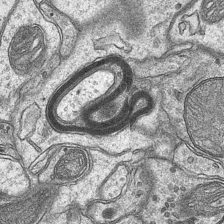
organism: Mouse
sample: CA1 Hippocampus